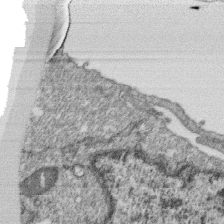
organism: African green monkey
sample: Vero E6 cells infected with SARS-CoV-2